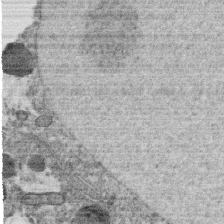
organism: C. elegans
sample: C. elegans oocyte; sperm cells